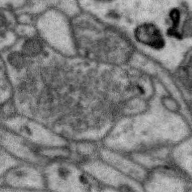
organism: Zebra finch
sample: Brain